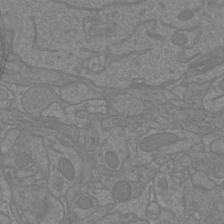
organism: Mouse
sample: Cortical neurons